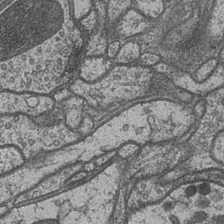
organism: Drosophila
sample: Optic medulla